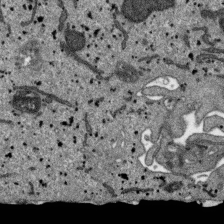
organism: Human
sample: Lung epithelial cells, uninfected (mock) control